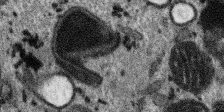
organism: Human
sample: Lung epithelial cells infected with SARS-CoV-2